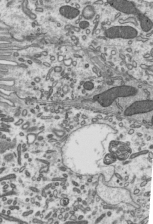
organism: Mouse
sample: Mouse epididymis efferent ductule cilia